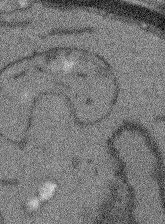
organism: Arabidopsis thaliana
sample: Root tip